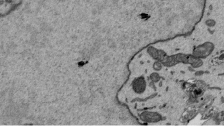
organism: Mouse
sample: ED-1 cell nuclei; centrioles